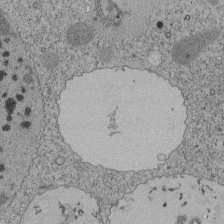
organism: Tetrahymena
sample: Cilia in tetrahymena